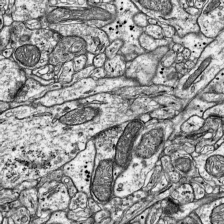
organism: Mouse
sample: Visual Cortex